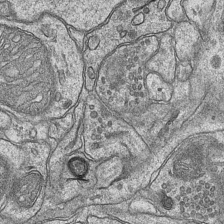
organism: Mouse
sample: CA1 Hippocampus